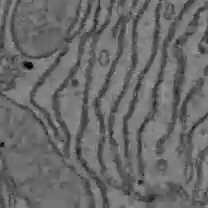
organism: C57BL Mouse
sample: Liver